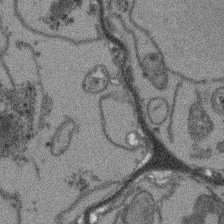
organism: Arabidopsis thaliana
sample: Root tip